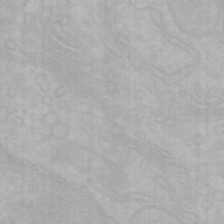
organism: Mouse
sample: Choroid plexus